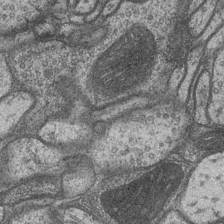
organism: Drosophila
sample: Optic medulla